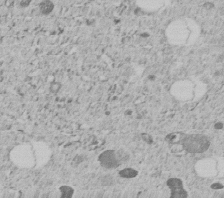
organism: C. elegans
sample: C. elegans embryo early stage